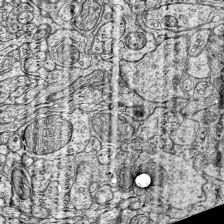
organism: Mouse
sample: Visual Cortex